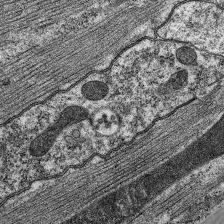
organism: C. elegans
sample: Pharynx